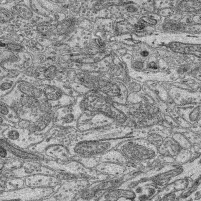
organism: Mouse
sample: Retina